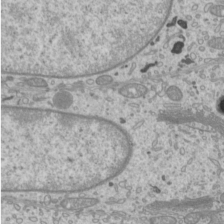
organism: Mouse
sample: Cilia; mouse epididymis